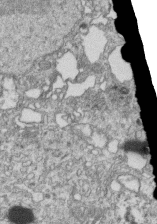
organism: Human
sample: HeLa cell HIV synapse